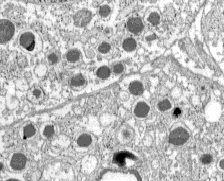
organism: C57BL Mouse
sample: Pancreatic islet